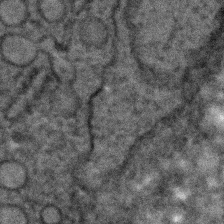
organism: C. elegans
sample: C. elegans embryo